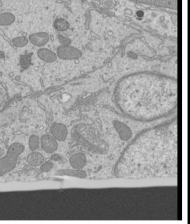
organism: Mouse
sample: Cilia; mouse epididymis